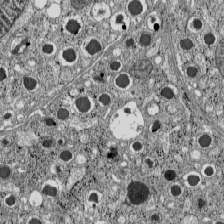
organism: C57BL Mouse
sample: Pancreatic islet